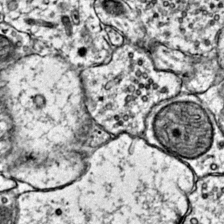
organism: Mouse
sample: Primary visual cortex